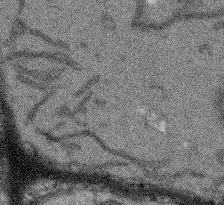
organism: Arabidopsis thaliana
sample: Root tip